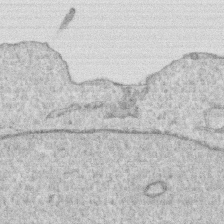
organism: Human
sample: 1205lu cells